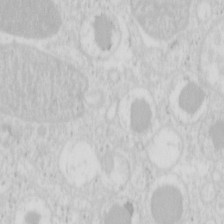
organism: Mouse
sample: Pancreas